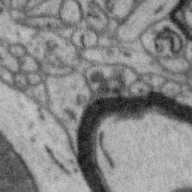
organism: Zebra finch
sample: Brain